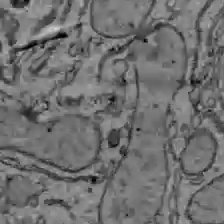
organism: C57BL Mouse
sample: Liver